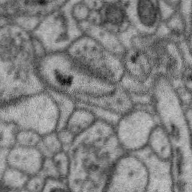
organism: Zebra finch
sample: Brain